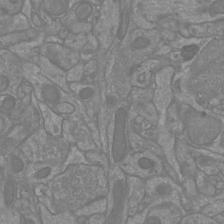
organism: Mouse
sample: Cortical neurons